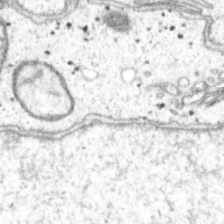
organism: Human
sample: HeLa cells